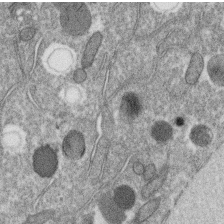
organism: C. elegans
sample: C. elegans oocyte; sperm cells